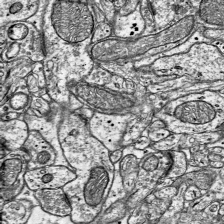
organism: Mouse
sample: Visual Cortex